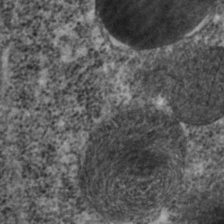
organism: C. elegans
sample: C. elegans embryo